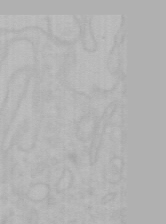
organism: Mouse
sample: Choroid plexus